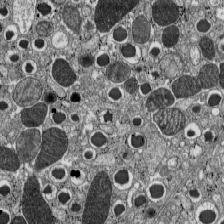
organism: C57BL Mouse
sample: Pancreatic islet